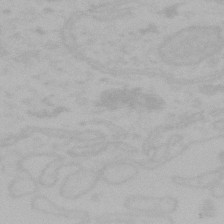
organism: Mouse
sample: Choroid plexus